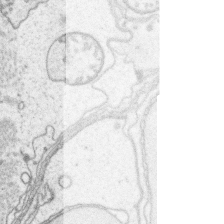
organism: Platynereis dumerilii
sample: Parapodia